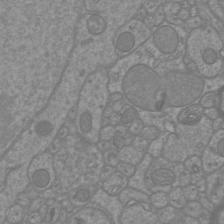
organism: Mouse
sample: Cortical neurons